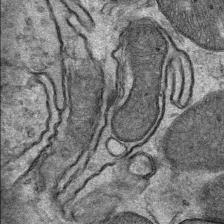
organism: Mouse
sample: Mouse Salivary gland